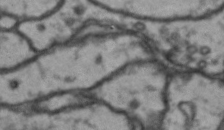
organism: Drosophila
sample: Brain